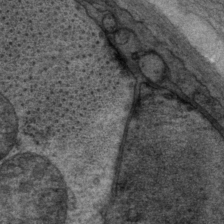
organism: P. pacificus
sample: Pharynx